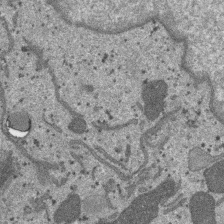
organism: Human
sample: Lung epithelial cells infected with SARS-CoV-2